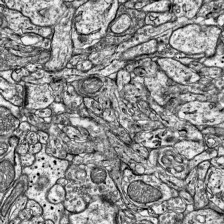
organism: Mouse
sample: Visual Cortex